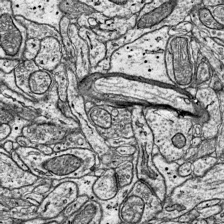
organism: Mouse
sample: Visual Cortex